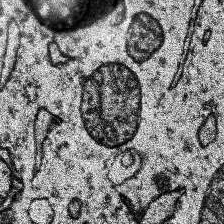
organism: Human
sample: Temporal Lobe